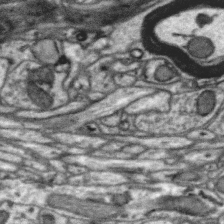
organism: Zebra finch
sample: Brain